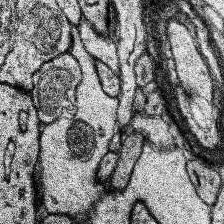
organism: Human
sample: Temporal Lobe